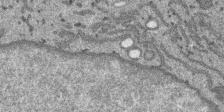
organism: Human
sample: Lung epithelial cells infected with SARS-CoV-2